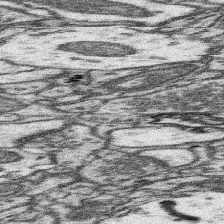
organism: Mouse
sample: Somatosensory cortex neuropil